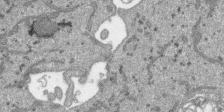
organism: Human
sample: Lung epithelial cells infected with SARS-CoV-2